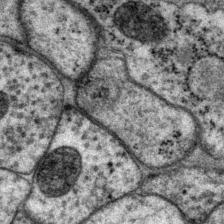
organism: P. pacificus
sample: Pharynx